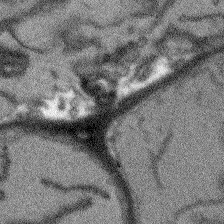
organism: Arabidopsis thaliana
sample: Root tip